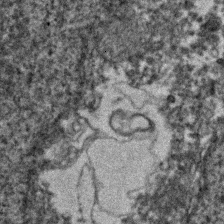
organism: Zebrafish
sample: Zebrafish embryo